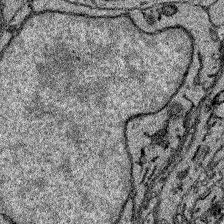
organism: Zebrafish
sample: Larval olfactory bulb